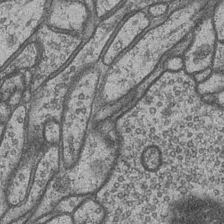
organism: Drosophila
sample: Optic medulla